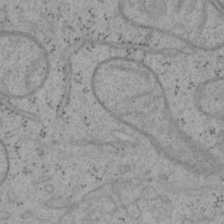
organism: Human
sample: HeLa cells